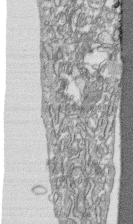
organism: Human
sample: CRL-1474